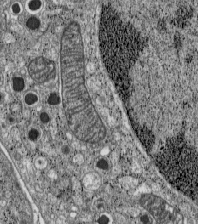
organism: C57BL Mouse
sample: Pancreatic islet